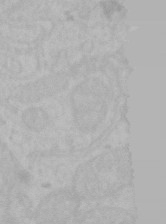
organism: Mouse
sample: Choroid plexus